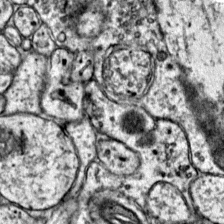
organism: Mouse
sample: Primary visual cortex